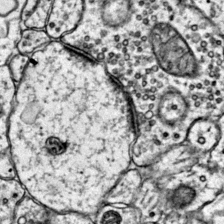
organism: Mouse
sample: Primary visual cortex